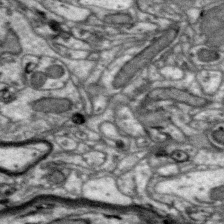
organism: Zebra finch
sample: Brain